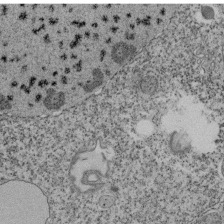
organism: Tetrahymena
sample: Cilia in tetrahymena